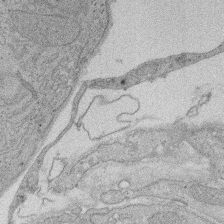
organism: Rat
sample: Salivary granule